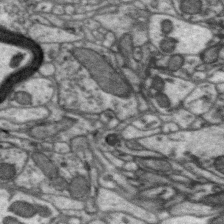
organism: Zebra finch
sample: Brain